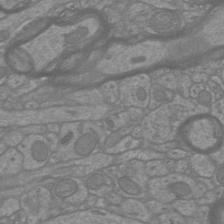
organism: Mouse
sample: Cortical neurons